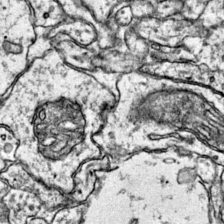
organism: Mouse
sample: Primary visual cortex